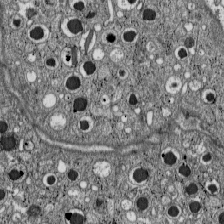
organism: C57BL Mouse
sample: Pancreatic islet